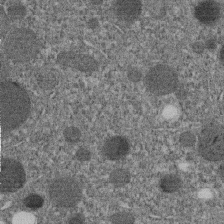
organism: C. elegans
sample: C. elegans embryo early stage